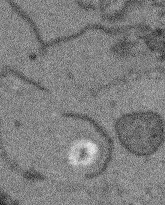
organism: Arabidopsis thaliana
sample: Root tip